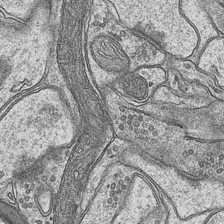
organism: Mouse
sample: CA1 Hippocampus